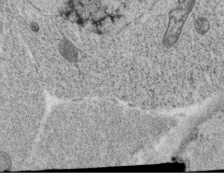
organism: C. elegans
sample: C. elegans oocyte; sperm cells